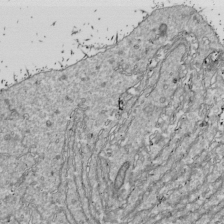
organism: Drosophila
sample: Cell division; meiosis; drosophila spermatocytes